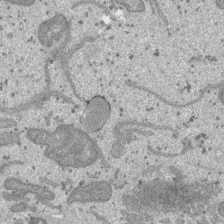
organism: Human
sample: Lung epithelial cells infected with SARS-CoV-2